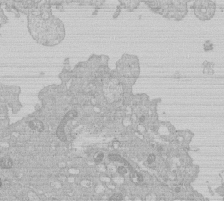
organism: Human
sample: Macrophage cells